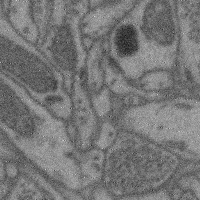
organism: Mouse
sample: Cerebral cortex